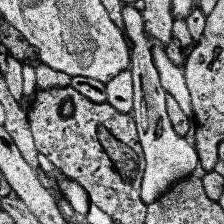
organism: Human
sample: Temporal Lobe